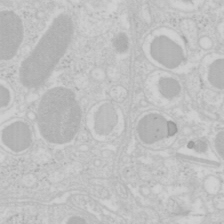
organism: Mouse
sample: Pancreas